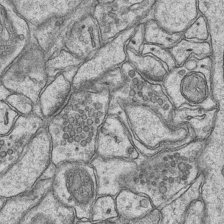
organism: Mouse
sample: CA1 Hippocampus